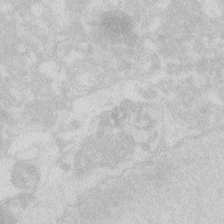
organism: Zebrafish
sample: Macrophage